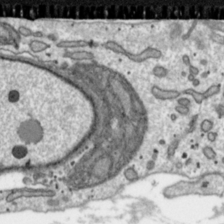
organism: Toxoplasma gondii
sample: Parasites in a vacuole inside a host cell